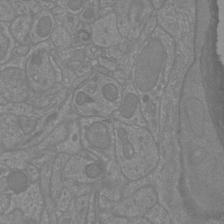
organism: Mouse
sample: Cortical neurons